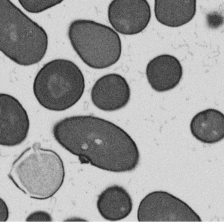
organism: B. subtilis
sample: Bacterial spore